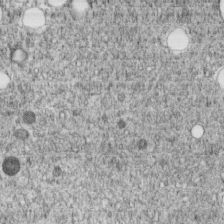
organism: C. elegans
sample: C. elegans embryo early stage